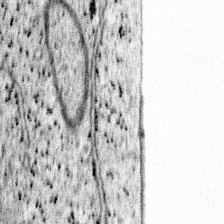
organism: Human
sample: HeLa cells